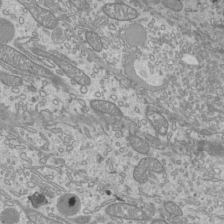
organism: Mouse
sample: Cilia; mouse epididymis